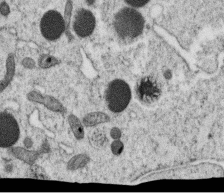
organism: C. elegans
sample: C. elegans oocyte; sperm cells